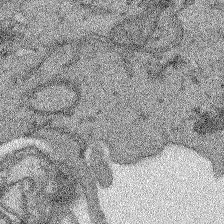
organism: Human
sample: HeLa cells